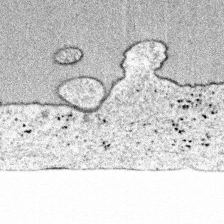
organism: Human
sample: HeLa cells